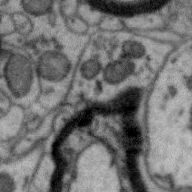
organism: Zebra finch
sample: Brain